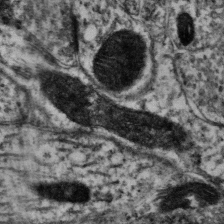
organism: Mouse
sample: Neocortex